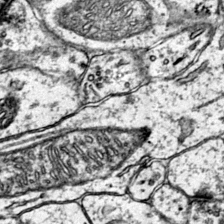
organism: Mouse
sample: Primary visual cortex